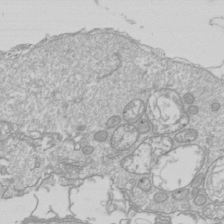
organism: Drosophila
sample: Cell division; meiosis; drosophila spermatocytes